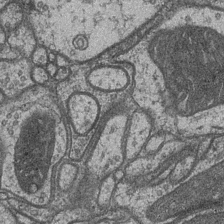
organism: Drosophila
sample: Optic medulla